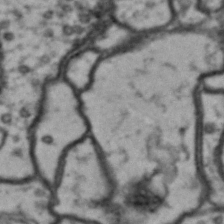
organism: Drosophila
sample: Brain